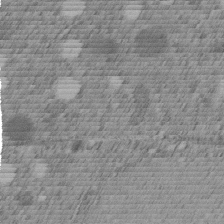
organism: C. elegans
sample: C. elegans embryo early stage